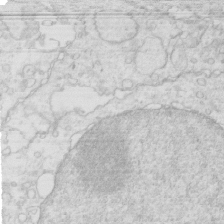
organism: Mouse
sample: Multiciliated cells